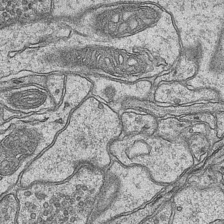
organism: Mouse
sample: CA1 Hippocampus